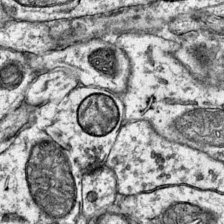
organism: Mouse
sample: Primary visual cortex